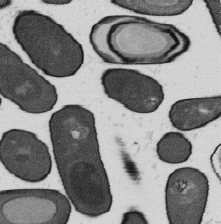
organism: B. subtilis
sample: Bacterial spore